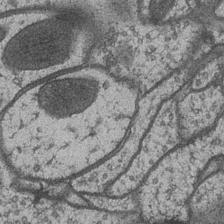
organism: Drosophila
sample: Optic medulla